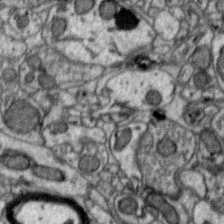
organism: Zebra finch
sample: Brain